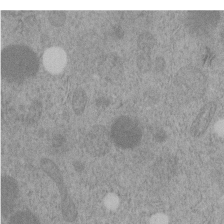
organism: C. elegans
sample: C. elegans embryo early stage